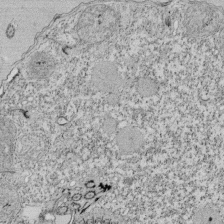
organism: Tetrahymena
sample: Cilia in tetrahymena